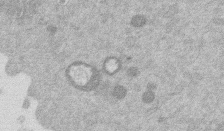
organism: Mouse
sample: Dividing mouse embryo 1 cell stage